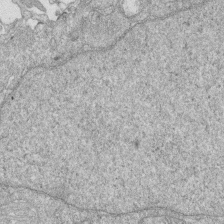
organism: Human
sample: HeLa cell HIV synapse